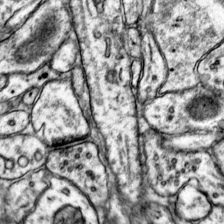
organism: Mouse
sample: Primary visual cortex